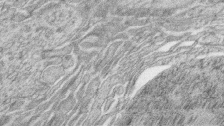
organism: Zebrafish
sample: synaptic ribbons in rod cells and cone cells